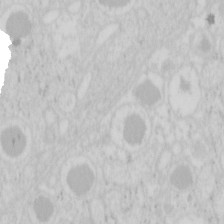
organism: Mouse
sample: Pancreas